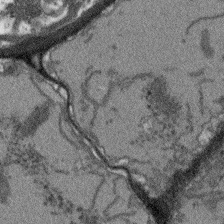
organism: Arabidopsis thaliana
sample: Root tip